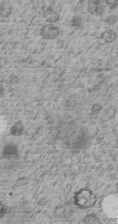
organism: C. elegans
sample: C. elegans embryo early stage